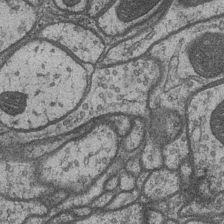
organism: Drosophila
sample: Optic medulla